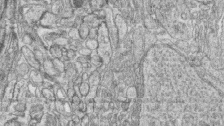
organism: Zebrafish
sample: synaptic ribbons in rod cells and cone cells